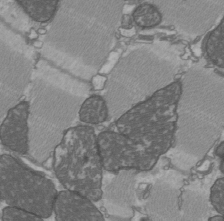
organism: C57BL Mouse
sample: Heart